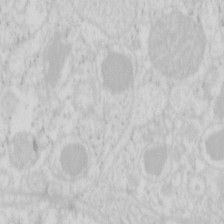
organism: Mouse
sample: Pancreas